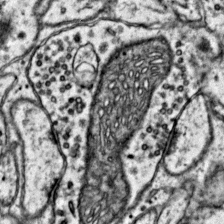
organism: Mouse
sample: Primary visual cortex